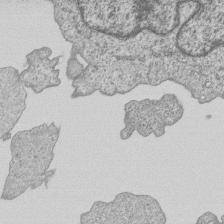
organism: Human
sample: MDA-MB-231 cells